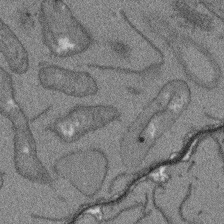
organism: Arabidopsis thaliana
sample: Root tip